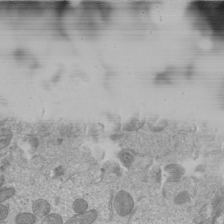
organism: Mouse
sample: Cilia; mouse epididymis